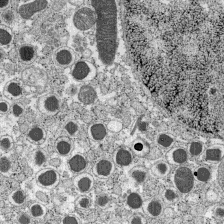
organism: C57BL Mouse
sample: Pancreatic islet